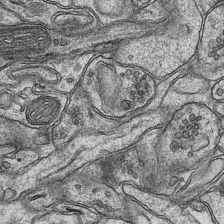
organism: Mouse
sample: CA1 Hippocampus